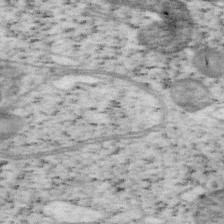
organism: Mouse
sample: OT-I killer T cells with ID8 ovarian cancer cells